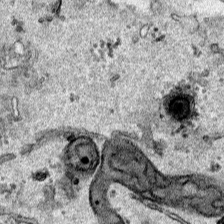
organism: Human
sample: Mitochondria in HCT116 cells